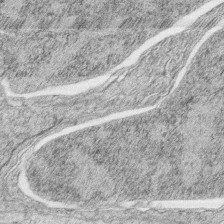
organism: Zebrafish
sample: synaptic ribbons in rod cells and cone cells